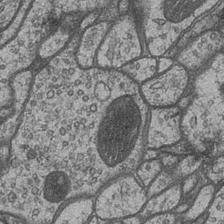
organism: Drosophila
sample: Optic medulla